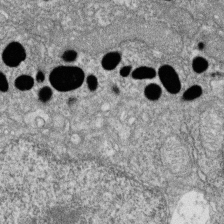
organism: Zebrafish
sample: Cilia; retinal pigment epithelium